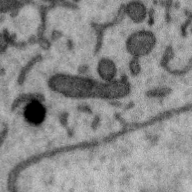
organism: Zebra finch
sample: Brain